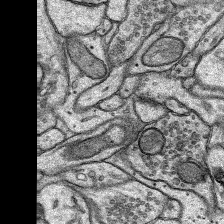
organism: Rat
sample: Hippocampus